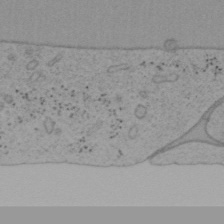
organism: Human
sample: HeLa cells